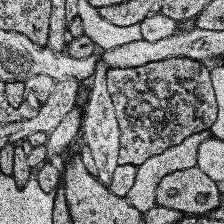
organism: Human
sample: Temporal Lobe